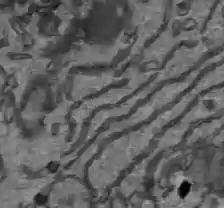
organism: C57BL Mouse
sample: Liver